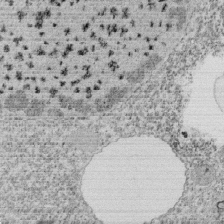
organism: Tetrahymena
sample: Cilia in tetrahymena